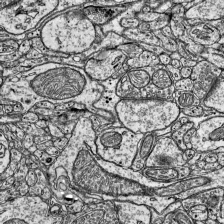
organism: Mouse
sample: Visual Cortex